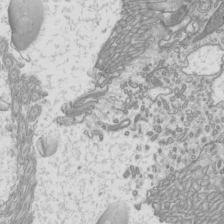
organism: Mouse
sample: Cilia; mouse epididymis